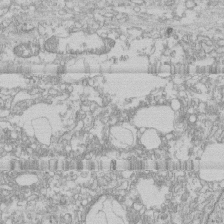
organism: Human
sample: CRL-1474